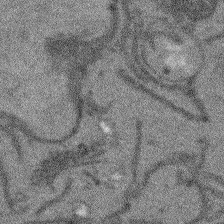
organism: Arabidopsis thaliana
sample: Root tip